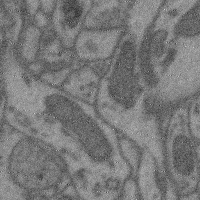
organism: Mouse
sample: Cerebral cortex